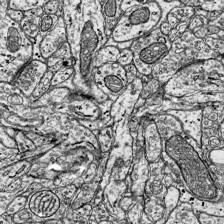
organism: Mouse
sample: Visual Cortex